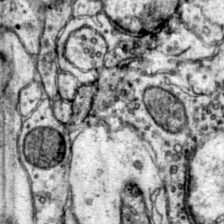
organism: Mouse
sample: Primary visual cortex